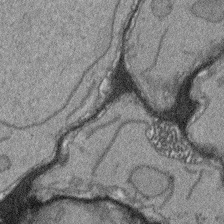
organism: Arabidopsis thaliana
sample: Root tip